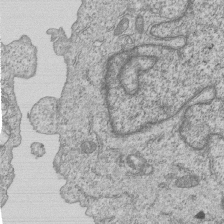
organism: Human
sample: MDA-MB-231 cells